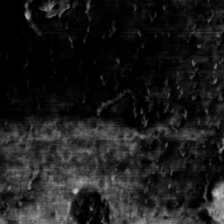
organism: Toxoplasma gondii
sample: Parasites in a vacuole inside a host cell